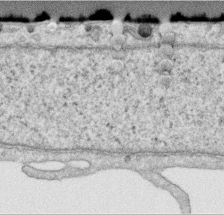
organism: Human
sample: Centriole in RPE cells